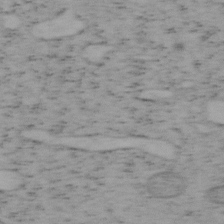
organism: Mouse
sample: OT-I killer T cells with ID8 ovarian cancer cells